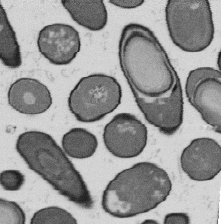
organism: B. subtilis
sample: Bacterial spore